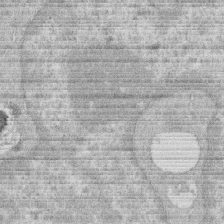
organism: Human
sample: Macrophage cells